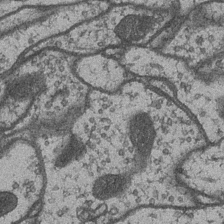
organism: Drosophila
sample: Optic medulla